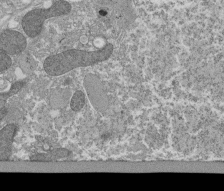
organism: Tetrahymena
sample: Cilia in tetrahymena